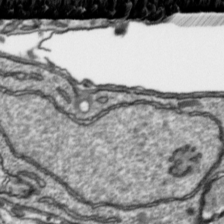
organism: Toxoplasma gondii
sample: Parasites in a vacuole inside a host cell